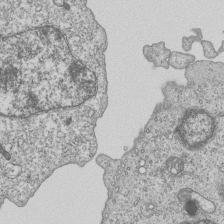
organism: Human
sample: MDA-MB-231 cells